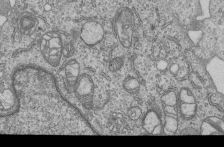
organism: Human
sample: MDA-MB-231 cells